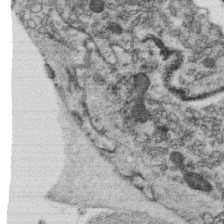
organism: C. elegans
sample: C. elegans oocyte; sperm cells